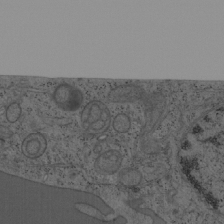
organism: Human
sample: HeLa cells